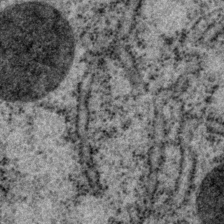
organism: P. pacificus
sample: Pharynx